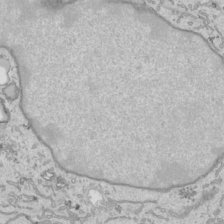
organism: Human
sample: Mitochondria in HCT116 cells